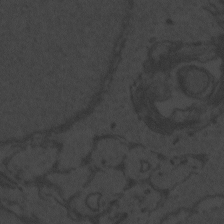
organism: Zebrafish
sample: Macrophage infected with Toxoplasma gondii